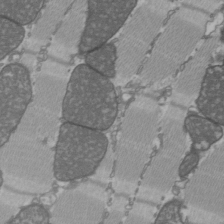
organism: C57BL Mouse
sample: Heart